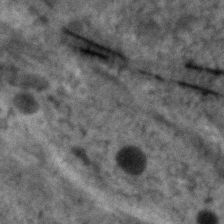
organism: Human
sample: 1205lu cells